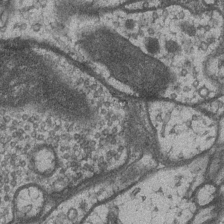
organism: Drosophila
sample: Optic medulla